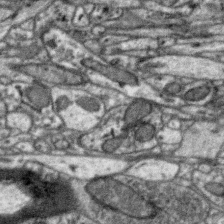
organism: Zebra finch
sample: Brain